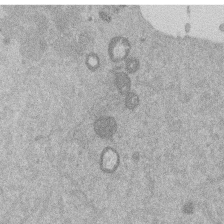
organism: Mouse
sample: Dividing mouse embryo 1 cell stage